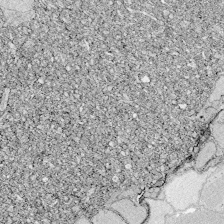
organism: Zebrafish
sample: Whole-Brain